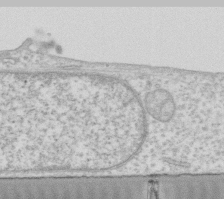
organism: Human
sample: Fibroblast cells